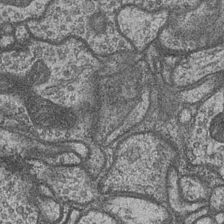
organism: Drosophila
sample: Optic medulla